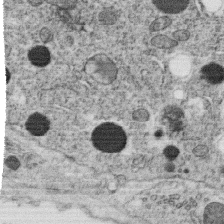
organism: C. elegans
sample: C. elegans oocyte; sperm cells